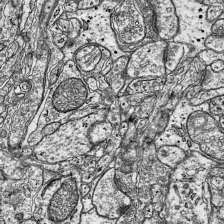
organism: Mouse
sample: Visual Cortex